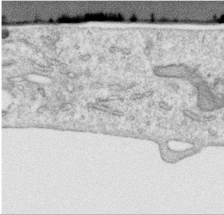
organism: Human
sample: Centriole in RPE cells